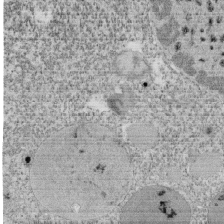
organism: Tetrahymena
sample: Cilia in tetrahymena